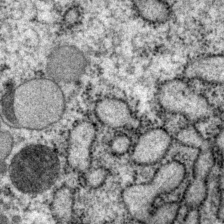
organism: P. pacificus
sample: Pharynx